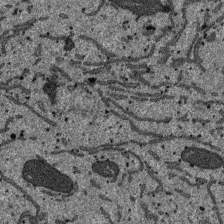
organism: Human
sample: Lung epithelial cells infected with SARS-CoV-2